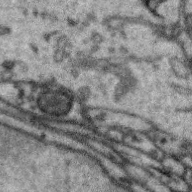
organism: Zebra finch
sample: Brain